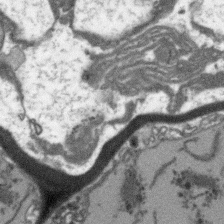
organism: Arabidopsis thaliana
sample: Root tip